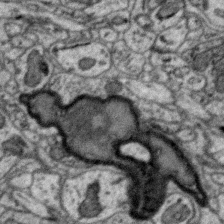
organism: Zebra finch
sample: Brain